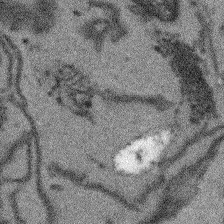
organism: Arabidopsis thaliana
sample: Root tip